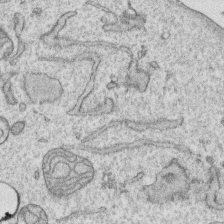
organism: Human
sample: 1205lu cells